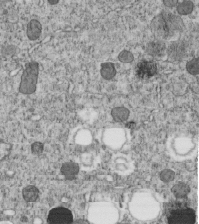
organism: C. elegans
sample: C. elegans embryo early stage